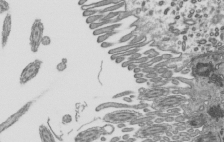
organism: Mouse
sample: Mouse epididymis efferent ductule cilia